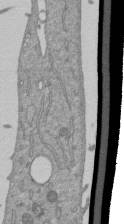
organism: Mouse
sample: ED-1 cell nuclei; centrioles